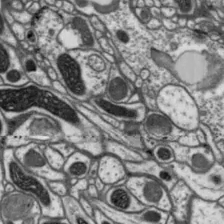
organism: Drosophila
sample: Protocerebral bridge